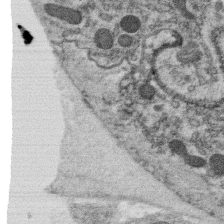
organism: C. elegans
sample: C. elegans oocyte; sperm cells